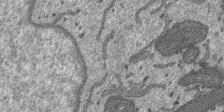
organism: Human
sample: Lung epithelial cells infected with SARS-CoV-2